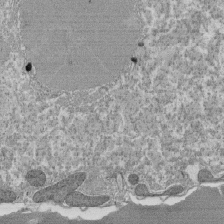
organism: Tetrahymena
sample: Cilia in tetrahymena